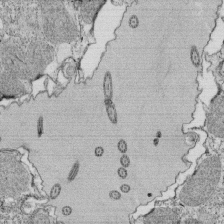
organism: Tetrahymena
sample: Cilia in tetrahymena